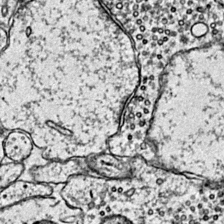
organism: Mouse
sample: Primary visual cortex